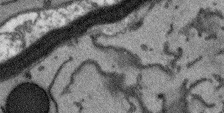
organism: Arabidopsis thaliana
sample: Root tip